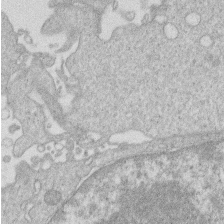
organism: Human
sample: Macrophage cells